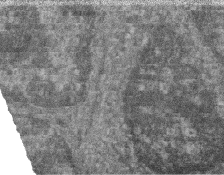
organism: Zebrafish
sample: Cilia; retinal pigment epithelium